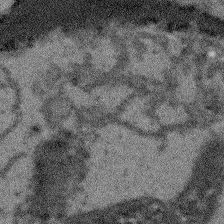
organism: Arabidopsis thaliana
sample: Root tip